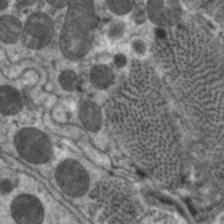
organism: C. elegans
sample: Pharynx